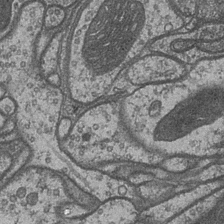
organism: Drosophila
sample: Optic medulla